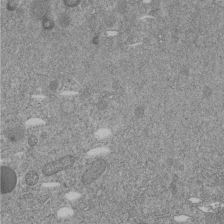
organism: C. elegans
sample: C. elegans embryo early stage